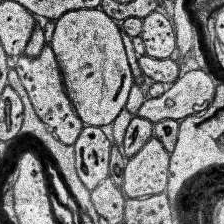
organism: Human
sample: Temporal Lobe